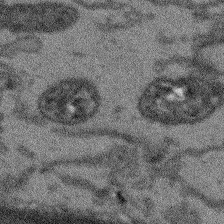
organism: Arabidopsis thaliana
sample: Root tip